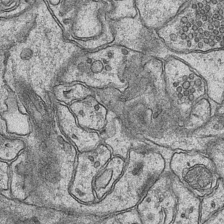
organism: Mouse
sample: CA1 Hippocampus